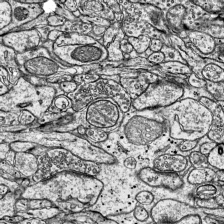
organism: Mouse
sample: Visual Cortex